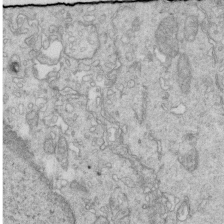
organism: Mouse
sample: Multiciliated cells